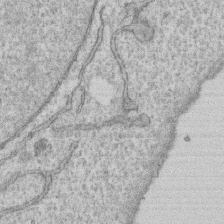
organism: Human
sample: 1205lu cells